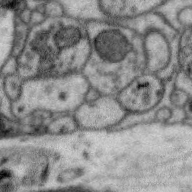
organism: Zebra finch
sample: Brain